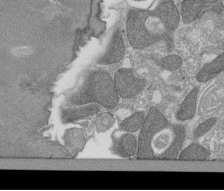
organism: Tetrahymena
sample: Cilia in tetrahymena